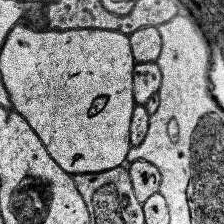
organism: Human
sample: Temporal Lobe